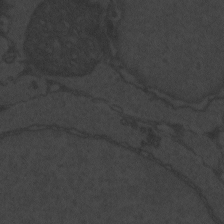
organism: Zebrafish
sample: Macrophage infected with Toxoplasma gondii